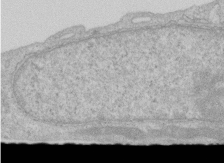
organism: Human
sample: Centriole in RPE cells